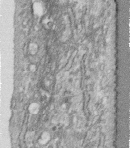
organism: Human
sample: Centriole in fibroblast cells